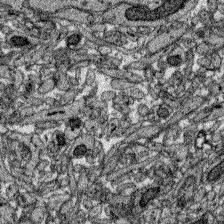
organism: Zebrafish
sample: Larval olfactory bulb